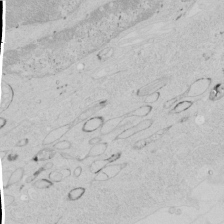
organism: Human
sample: Mitochondria in HCT116 cells